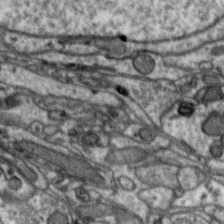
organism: Zebra finch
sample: Brain